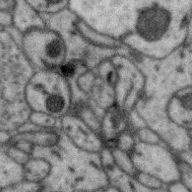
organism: Zebra finch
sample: Brain